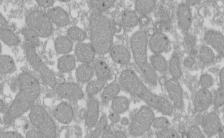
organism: Xenopus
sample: Cilia; centrioles in frog embryo cells